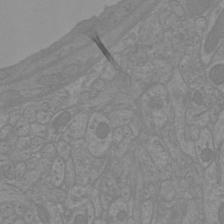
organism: Mouse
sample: Cortical neurons